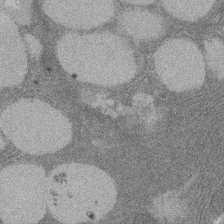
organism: Rat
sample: Salivary granule